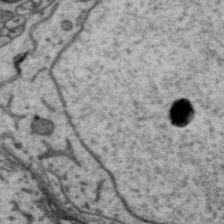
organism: Zebra finch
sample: Brain